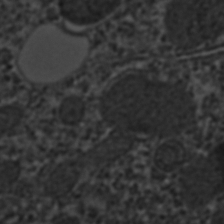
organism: C. elegans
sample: C. elegans embryo